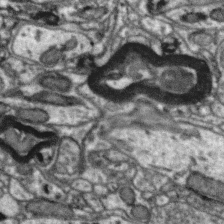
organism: Zebra finch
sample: Brain